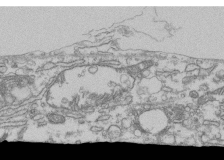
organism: Human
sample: Fibroblast cells